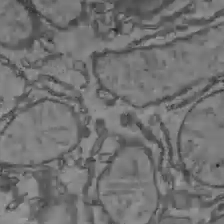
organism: C57BL Mouse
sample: Liver